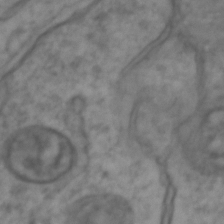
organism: Zebrafish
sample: Zebrafish embryo